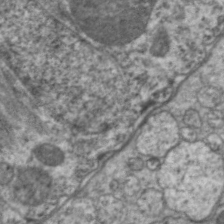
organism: C. elegans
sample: Pharynx